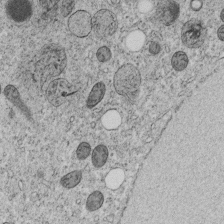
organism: C. elegans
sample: C. elegans embryo early stage